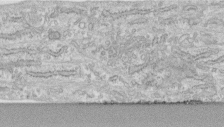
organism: Human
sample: Centriole in fibroblast cells